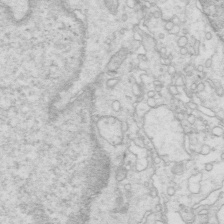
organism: Mouse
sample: Multiciliated cells